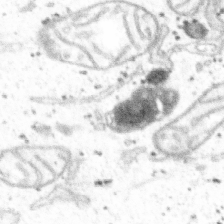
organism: Human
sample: HeLa cells